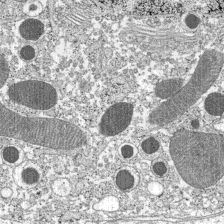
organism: C57BL Mouse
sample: Pancreatic islet